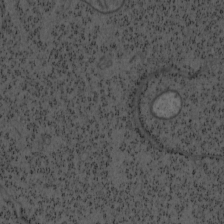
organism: Mouse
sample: OT-I killer T cells with ID8 ovarian cancer cells